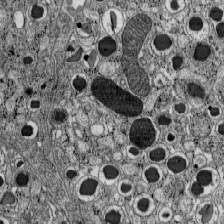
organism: C57BL Mouse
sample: Pancreatic islet